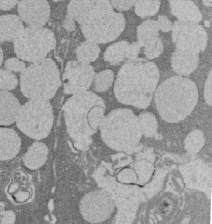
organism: Rat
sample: Salivary granule